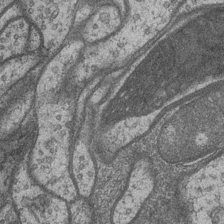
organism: Drosophila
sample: Optic medulla